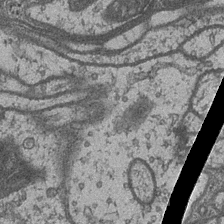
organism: Drosophila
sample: Optic medulla